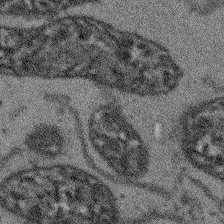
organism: Arabidopsis thaliana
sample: Root tip